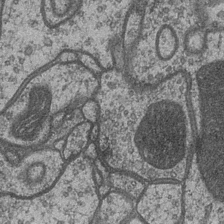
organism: Drosophila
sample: Optic medulla